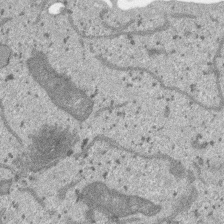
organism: Human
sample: Lung epithelial cells infected with SARS-CoV-2